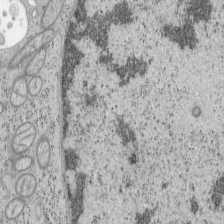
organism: Mouse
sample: OT-I killer T cells with ID8 ovarian cancer cells